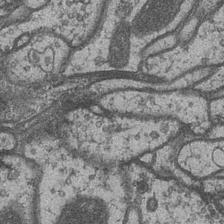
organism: Drosophila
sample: Optic medulla